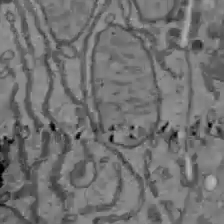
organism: C57BL Mouse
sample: Liver